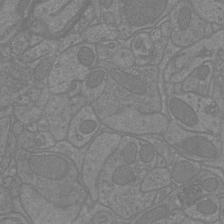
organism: Mouse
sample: Cortical neurons